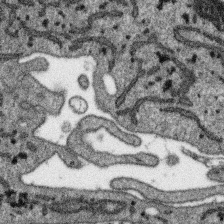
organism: Human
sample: Lung epithelial cells infected with SARS-CoV-2